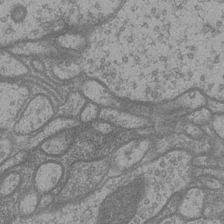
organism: Drosophila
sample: Optic medulla